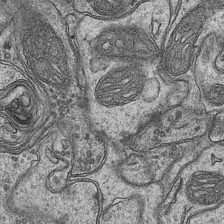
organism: Mouse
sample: CA1 Hippocampus